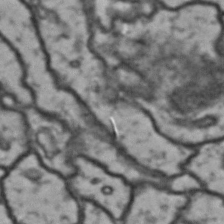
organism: Drosophila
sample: Brain